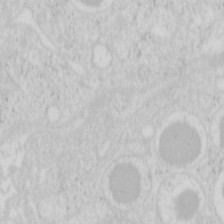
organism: Mouse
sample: Pancreas